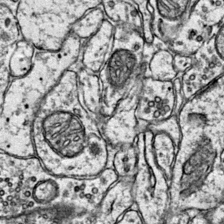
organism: Mouse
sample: Primary visual cortex